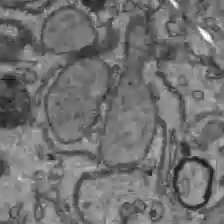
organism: C57BL Mouse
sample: Liver